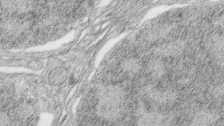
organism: Zebrafish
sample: synaptic ribbons in rod cells and cone cells